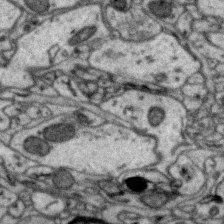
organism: Zebra finch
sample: Brain